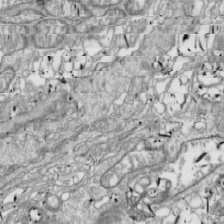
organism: Drosophila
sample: Cell division; meiosis; drosophila spermatocytes